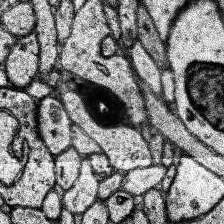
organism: Human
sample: Temporal Lobe